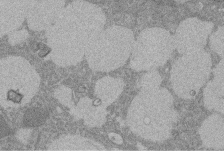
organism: Rat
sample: Salivary granule